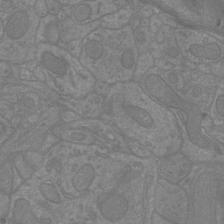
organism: Mouse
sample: Cortical neurons